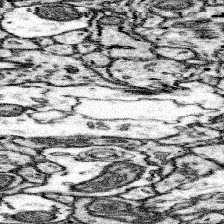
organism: Mouse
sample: Somatosensory cortex neuropil